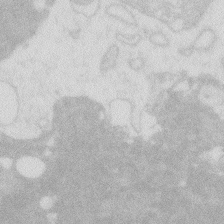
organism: Zebrafish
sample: Macrophage